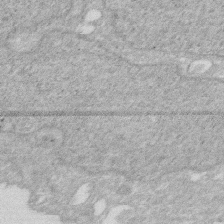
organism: Human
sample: HIV infected U937 cells